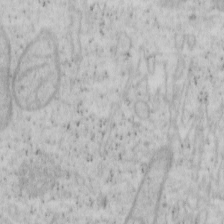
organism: Human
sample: HeLa cells